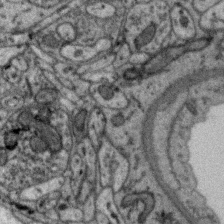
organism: Zebra finch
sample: Brain